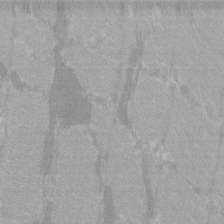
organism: C57BL Mouse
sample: Tibialis anterior muscle cell